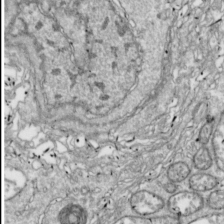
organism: Drosophila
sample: Cell division; meiosis; drosophila spermatocytes